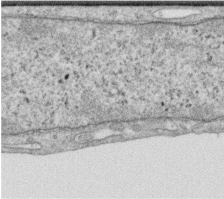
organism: Human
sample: Centriole in RPE cells